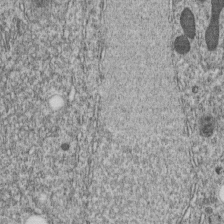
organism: C. elegans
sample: C. elegans embryo early stage